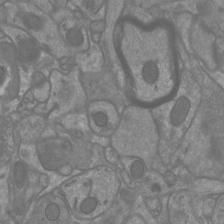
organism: Mouse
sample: Cortical neurons